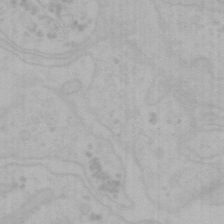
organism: Mouse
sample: Choroid plexus